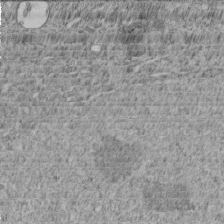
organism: C. elegans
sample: C. elegans embryo early stage